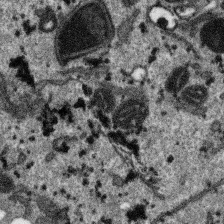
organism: Human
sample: Lung epithelial cells infected with SARS-CoV-2